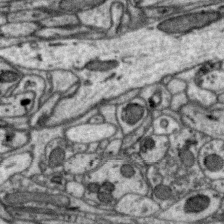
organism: Zebra finch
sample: Brain